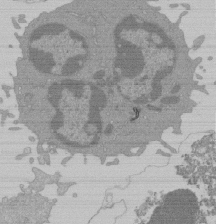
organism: Mouse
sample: Activated Pmel transgenic CD8+ T Cells